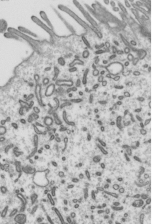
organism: Mouse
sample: Mouse epididymis efferent ductule cilia